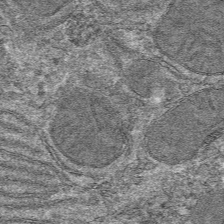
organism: Mouse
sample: Mouse hepatocytes